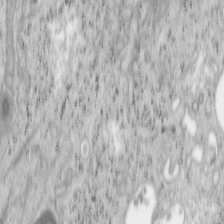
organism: Human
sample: HeLa cells